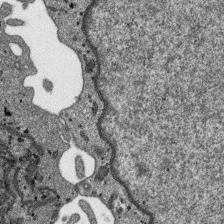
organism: Human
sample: Lung epithelial cells infected with SARS-CoV-2